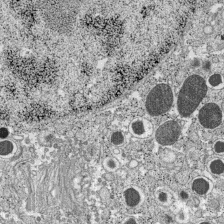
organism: C57BL Mouse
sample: Pancreatic islet